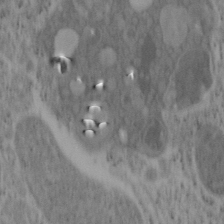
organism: Mouse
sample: OT-I killer T cells with ID8 ovarian cancer cells